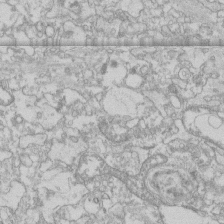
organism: Human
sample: CRL-1474